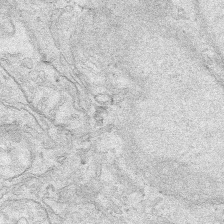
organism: Human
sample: Mitochondria in HCT116 cells